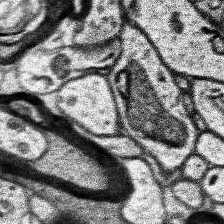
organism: Human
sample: Temporal Lobe